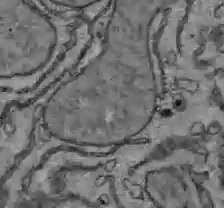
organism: C57BL Mouse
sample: Liver